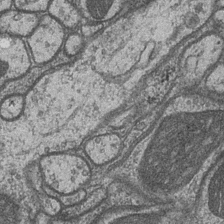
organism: Drosophila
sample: Optic medulla